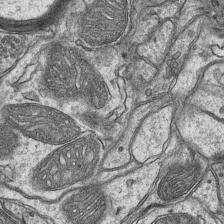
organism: Mouse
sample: CA1 Hippocampus